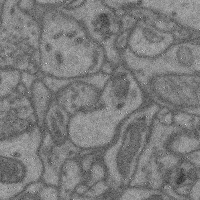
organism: Mouse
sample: Cerebral cortex